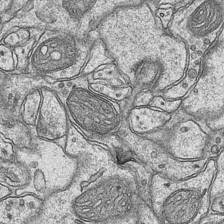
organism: Mouse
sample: CA1 Hippocampus